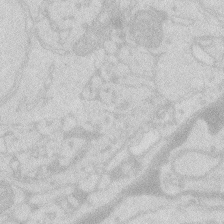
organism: Zebrafish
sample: Macrophage